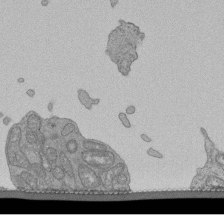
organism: Human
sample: Retinal organoid Rod and Cone cells